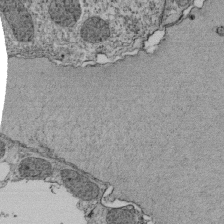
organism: Tetrahymena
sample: Cilia in tetrahymena